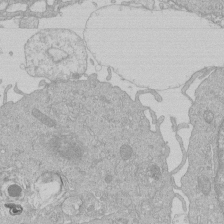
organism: Human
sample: Macrophage cells